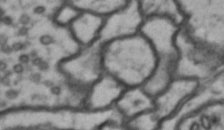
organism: Drosophila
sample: Brain